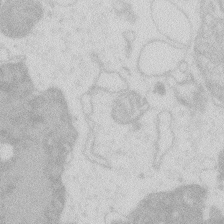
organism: Zebrafish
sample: Macrophage